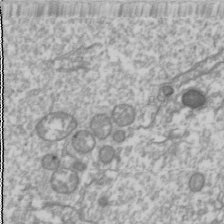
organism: Drosophila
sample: Cell division; meiosis; drosophila spermatocytes